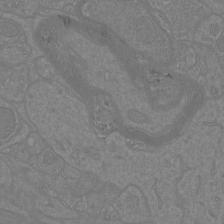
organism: Mouse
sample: Cortical neurons